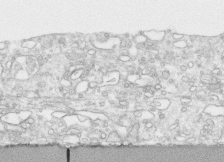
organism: Human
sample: CRL-1474